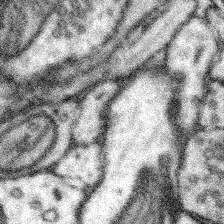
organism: Mouse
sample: Somatosensory cortex neuropil